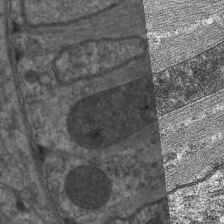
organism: C. elegans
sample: Pharynx